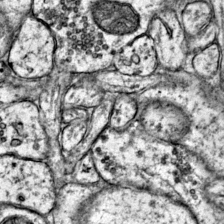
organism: Mouse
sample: Primary visual cortex